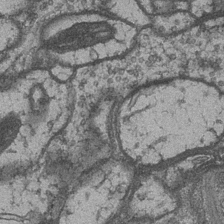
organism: Drosophila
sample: Optic medulla